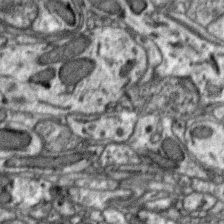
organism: Zebra finch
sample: Brain